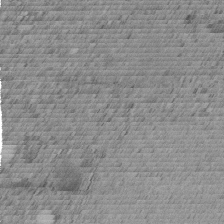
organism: C. elegans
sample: C. elegans embryo early stage